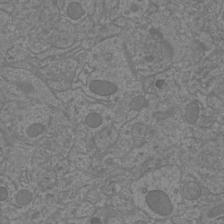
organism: Mouse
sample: Cortical neurons